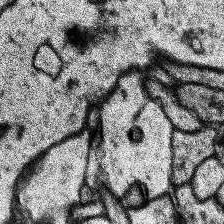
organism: Human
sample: Temporal Lobe